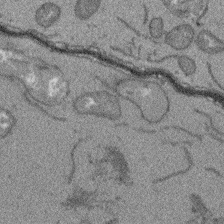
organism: Arabidopsis thaliana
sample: Root tip